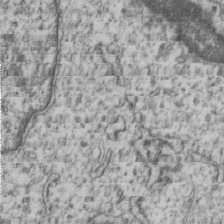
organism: Human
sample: MDA-MB-231 cells